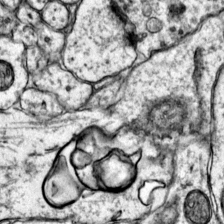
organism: Mouse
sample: Primary visual cortex